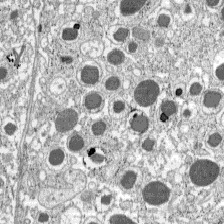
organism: C57BL Mouse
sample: Pancreatic islet